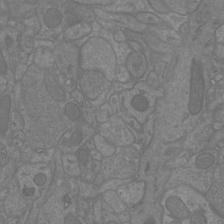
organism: Mouse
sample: Cortical neurons